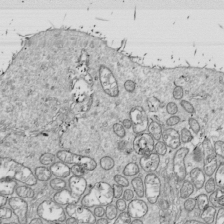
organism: Drosophila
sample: Cell division; meiosis; drosophila spermatocytes